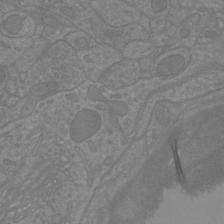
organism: Mouse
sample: Cortical neurons